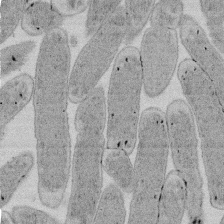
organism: E. coli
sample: Bacterial nucleoid